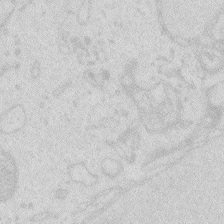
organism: Zebrafish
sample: Macrophage